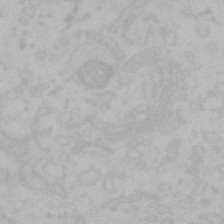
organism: Mouse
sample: Choroid plexus